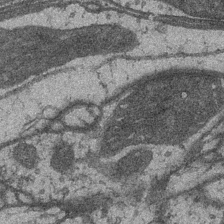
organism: Drosophila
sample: Optic medulla